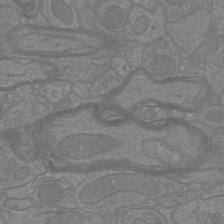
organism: Mouse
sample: Cortical neurons